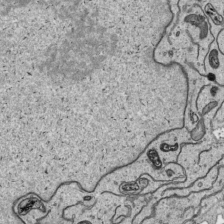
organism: Human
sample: Mitochondria in HCT116 cells